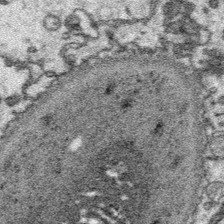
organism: Platynereis dumerilii